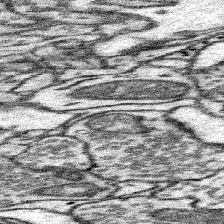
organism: Mouse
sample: Somatosensory cortex neuropil